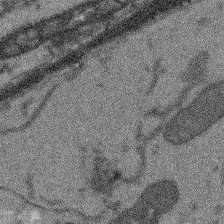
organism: Arabidopsis thaliana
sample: Root tip